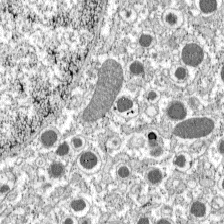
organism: C57BL Mouse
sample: Pancreatic islet